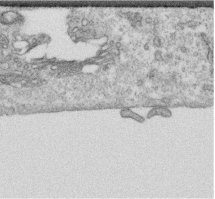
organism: Human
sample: Centriole in RPE cells